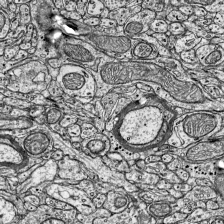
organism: Mouse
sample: Visual Cortex